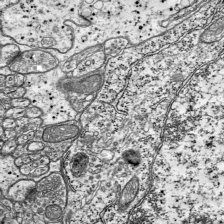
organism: Mouse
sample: Visual Cortex